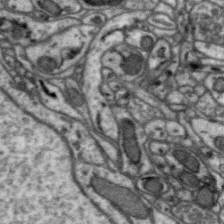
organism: Zebra finch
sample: Brain